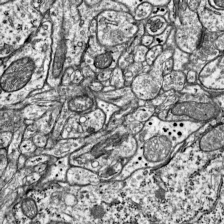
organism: Mouse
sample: Visual Cortex